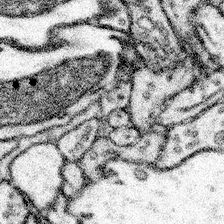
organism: Mouse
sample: Somatosensory cortex neuropil